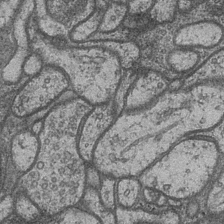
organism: Drosophila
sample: Optic medulla